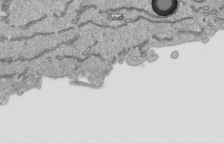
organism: Human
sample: Mitochondria in HCT116 cells